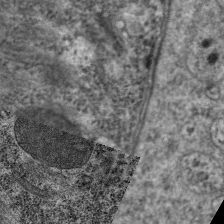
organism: C. elegans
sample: Pharynx